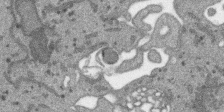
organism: Human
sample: Lung epithelial cells infected with SARS-CoV-2